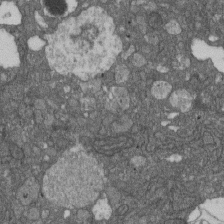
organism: Drosophila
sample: Nephrocyte